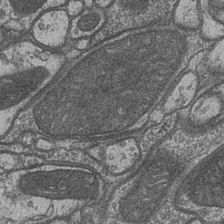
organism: Drosophila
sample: Optic medulla